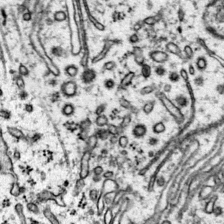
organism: Mouse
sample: Primary visual cortex